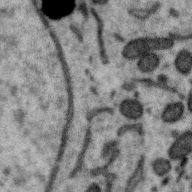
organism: Zebra finch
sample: Brain